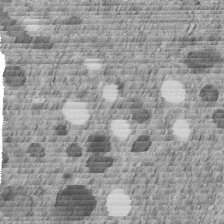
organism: C. elegans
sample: C. elegans embryo early stage